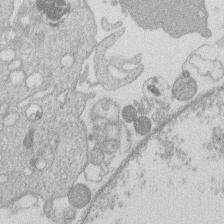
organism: Human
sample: Macrophage cells